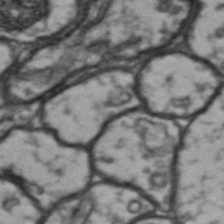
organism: Drosophila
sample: Brain